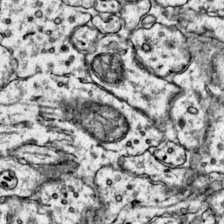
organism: Mouse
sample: Primary visual cortex